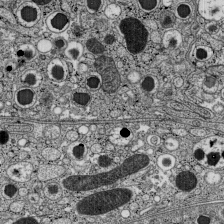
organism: C57BL Mouse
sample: Pancreatic islet